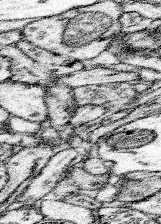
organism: Mouse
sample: Somatosensory cortex neuropil